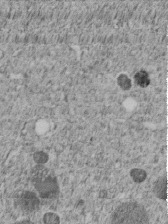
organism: C. elegans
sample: C. elegans embryo early stage